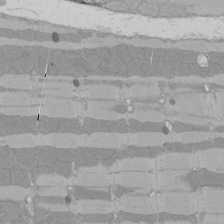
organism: Rat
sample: Left ventricle